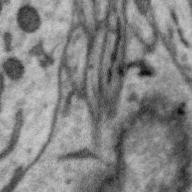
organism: Zebra finch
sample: Brain